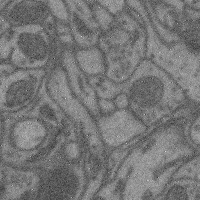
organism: Mouse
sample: Cerebral cortex